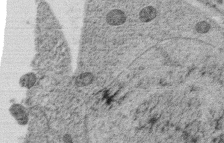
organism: C. elegans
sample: C. elegans oocyte; sperm cells